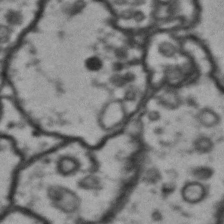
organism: Drosophila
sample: Brain